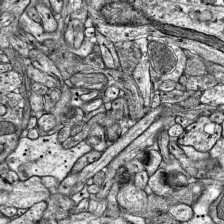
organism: Mouse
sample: Visual Cortex